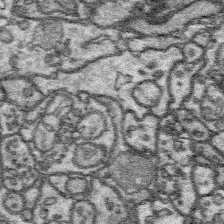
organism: Platynereis dumerilii